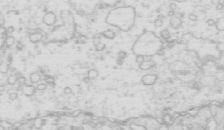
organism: Mouse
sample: Multiciliated cells